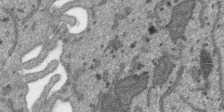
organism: Human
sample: Lung epithelial cells infected with SARS-CoV-2